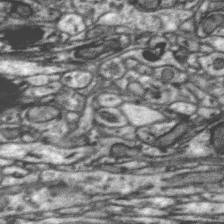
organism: Zebra finch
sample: Brain